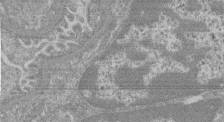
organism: Mouse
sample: Glomerulus